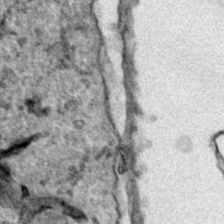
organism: Human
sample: Mitochondria in HCT116 cells